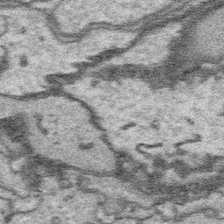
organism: Platynereis dumerilii